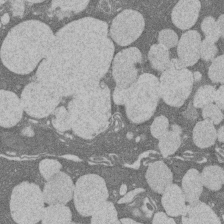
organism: Rat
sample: Salivary granule